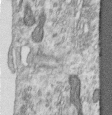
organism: Human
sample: Centriole in RPE cells